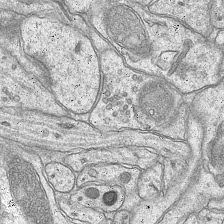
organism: Mouse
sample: CA1 Hippocampus